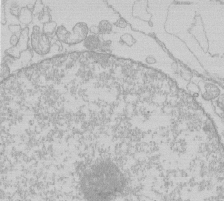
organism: Human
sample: Macrophage cells